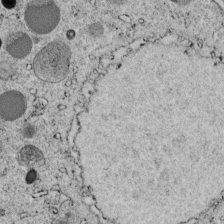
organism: C. elegans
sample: C. elegans embryo early stage